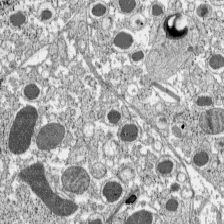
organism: C57BL Mouse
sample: Pancreatic islet